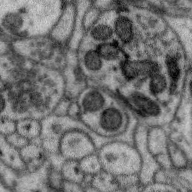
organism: Zebra finch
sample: Brain